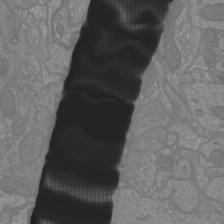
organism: Mouse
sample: Cortical neurons